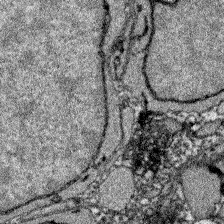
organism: Zebrafish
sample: Larval olfactory bulb